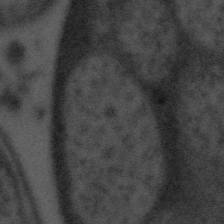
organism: Tuwongella immobilis